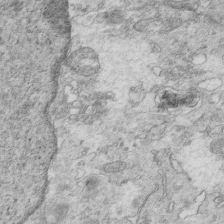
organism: Mouse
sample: Multiciliated cells